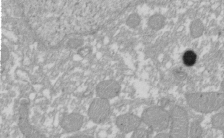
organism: Xenopus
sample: Cilia; centrioles in frog embryo cells